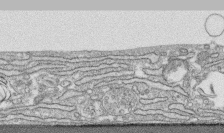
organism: Human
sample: CRL-1474